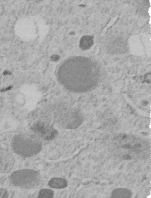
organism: C. elegans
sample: C. elegans embryo early stage